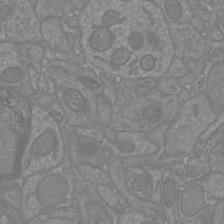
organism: Mouse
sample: Cortical neurons